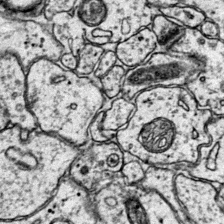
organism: Mouse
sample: Primary visual cortex